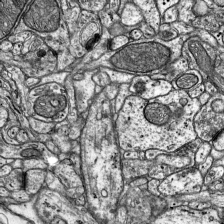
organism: Mouse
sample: Visual Cortex